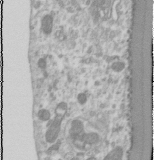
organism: Human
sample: Cilia; basal body in RPE cells